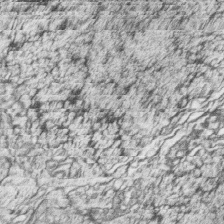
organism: Zebrafish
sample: synaptic ribbons in rod cells and cone cells